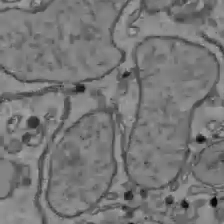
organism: C57BL Mouse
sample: Liver